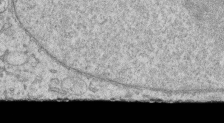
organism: Human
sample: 1205lu cells